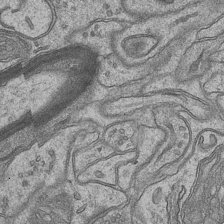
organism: Mouse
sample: CA1 Hippocampus